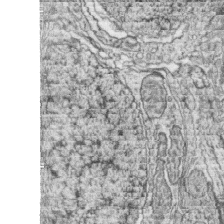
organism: Zebrafish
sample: synaptic ribbons in rod cells and cone cells